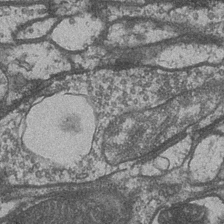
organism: Drosophila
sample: Optic medulla